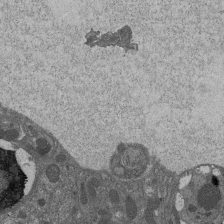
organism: Drosophila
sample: Antenna